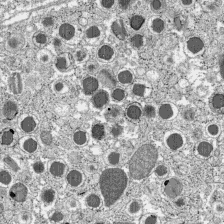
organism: C57BL Mouse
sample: Pancreatic islet